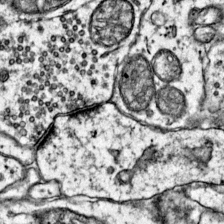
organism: Mouse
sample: Primary visual cortex